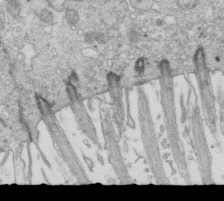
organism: Mouse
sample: Multiciliated cells